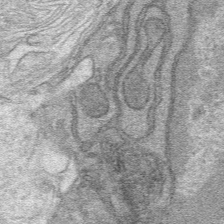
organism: Mouse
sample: Mouse hepatocytes